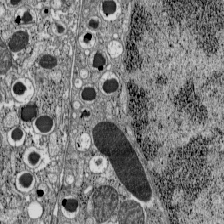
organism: C57BL Mouse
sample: Pancreatic islet